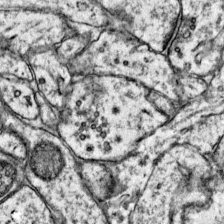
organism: Mouse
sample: Primary visual cortex